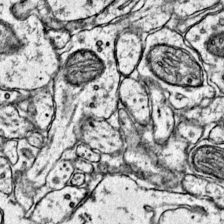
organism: Mouse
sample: Primary visual cortex